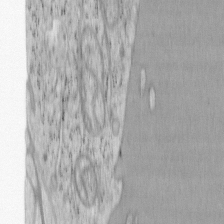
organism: Human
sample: HeLa cells